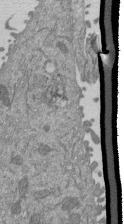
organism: Mouse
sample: ED-1 cell nuclei; centrioles